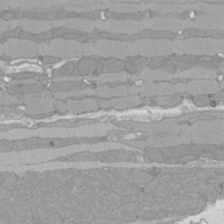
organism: Rat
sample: Left ventricle